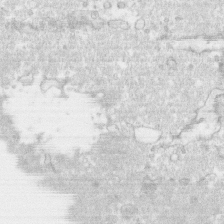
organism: Human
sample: CRL-1474